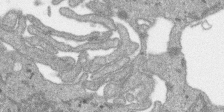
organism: Human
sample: Lung epithelial cells infected with SARS-CoV-2